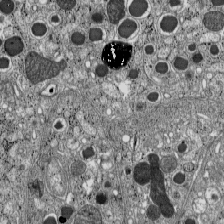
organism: C57BL Mouse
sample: Pancreatic islet